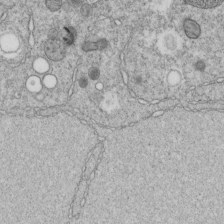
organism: C. elegans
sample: C. elegans embryo early stage